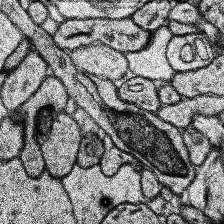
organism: Human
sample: Temporal Lobe